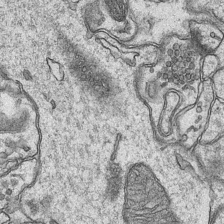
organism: Mouse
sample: CA1 Hippocampus